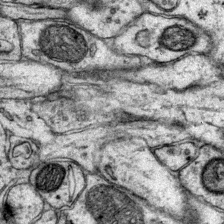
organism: Mouse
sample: Primary visual cortex